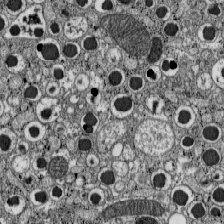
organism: C57BL Mouse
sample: Pancreatic islet